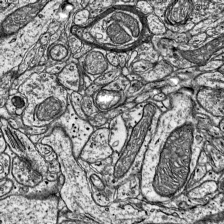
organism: Mouse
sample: Visual Cortex